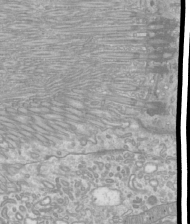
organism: Mouse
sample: Cilia; mouse epididymis